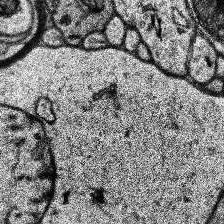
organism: Human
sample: Temporal Lobe